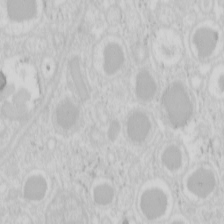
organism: Mouse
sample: Pancreas